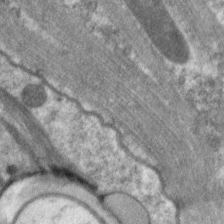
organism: C. elegans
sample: Pharynx